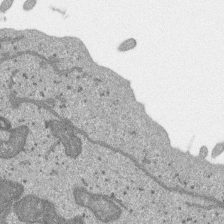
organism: Human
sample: Lung epithelial cells infected with SARS-CoV-2